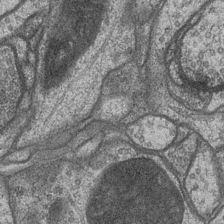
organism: Drosophila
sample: Optic medulla